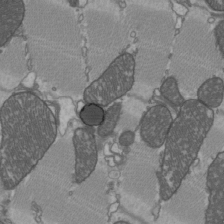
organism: C57BL Mouse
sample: Heart